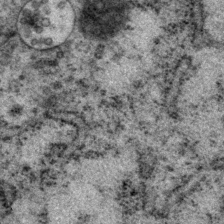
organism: P. pacificus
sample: Pharynx